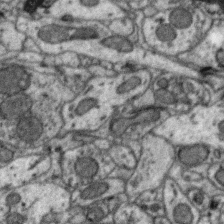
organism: Zebra finch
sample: Brain